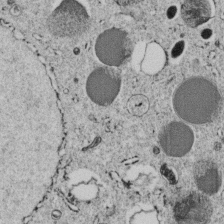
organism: C. elegans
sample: C. elegans embryo early stage